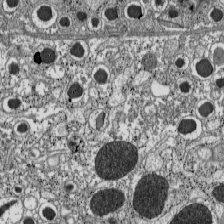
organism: C57BL Mouse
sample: Pancreatic islet